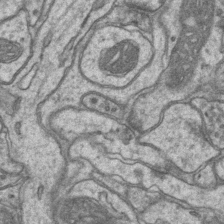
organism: Mouse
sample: CA1 Hippocampus